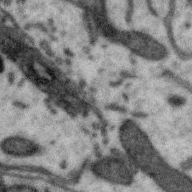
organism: Zebra finch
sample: Brain